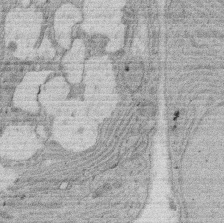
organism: Rat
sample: Salivary granule